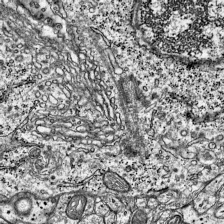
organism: Mouse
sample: Visual Cortex